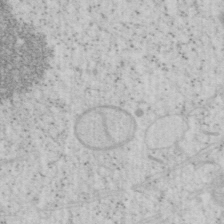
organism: Human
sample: HeLa cells